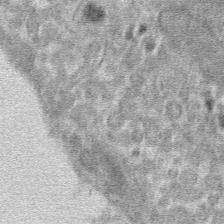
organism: Mouse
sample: Mouse hepatocytes